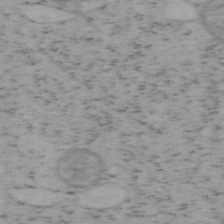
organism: Mouse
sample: OT-I killer T cells with ID8 ovarian cancer cells